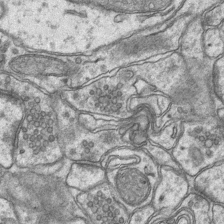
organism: Mouse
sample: CA1 Hippocampus